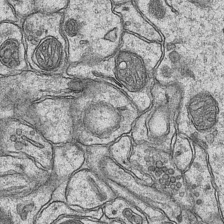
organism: Mouse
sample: CA1 Hippocampus